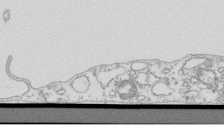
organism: Mouse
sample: Macrophages